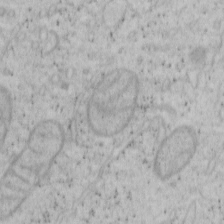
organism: Human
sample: HeLa cells